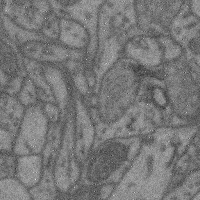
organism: Mouse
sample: Cerebral cortex